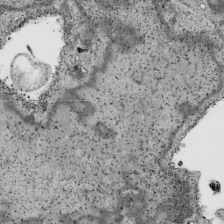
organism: Human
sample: Mitochondria in HCT116 cells